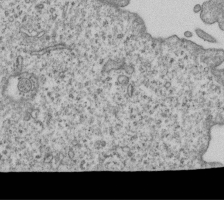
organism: Human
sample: MDA-MB-231 cells